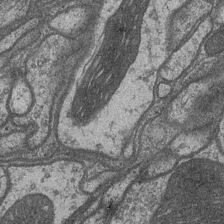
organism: Drosophila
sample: Optic medulla